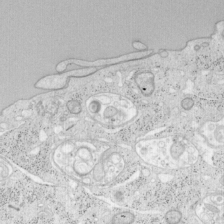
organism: Mouse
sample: OT-I killer T cells with ID8 ovarian cancer cells